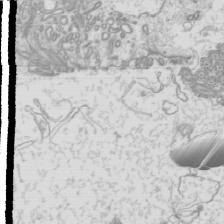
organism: Mouse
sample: Cilia; mouse epididymis